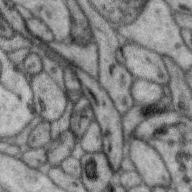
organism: Zebra finch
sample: Brain